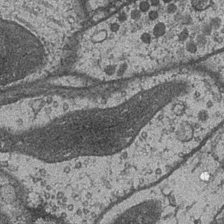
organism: Drosophila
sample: Optic medulla